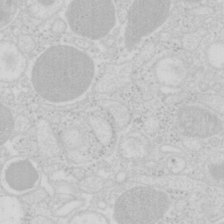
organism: Mouse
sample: Pancreas